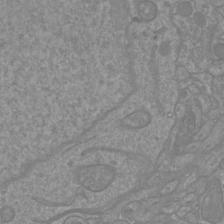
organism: Mouse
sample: Cortical neurons